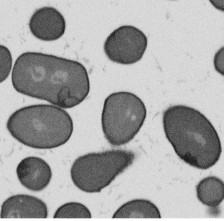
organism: B. subtilis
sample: Bacterial spore